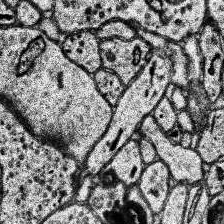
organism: Human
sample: Temporal Lobe